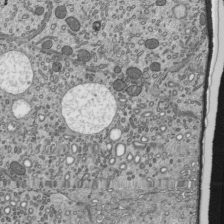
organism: Mouse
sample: Mouse epididymis efferent ductule cilia